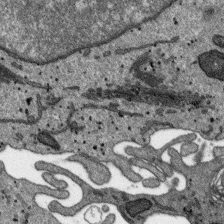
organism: Human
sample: Lung epithelial cells, uninfected (mock) control